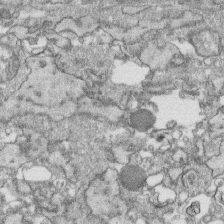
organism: Human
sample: CRL-1474